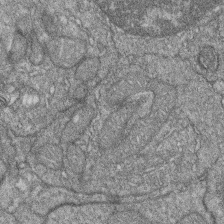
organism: Zebrafish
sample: Cilia; retinal pigment epithelium